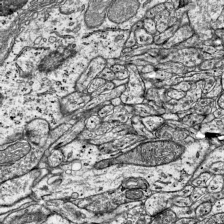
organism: Mouse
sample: Visual Cortex